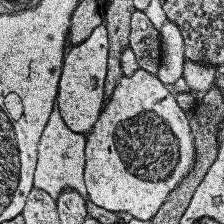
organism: Human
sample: Temporal Lobe